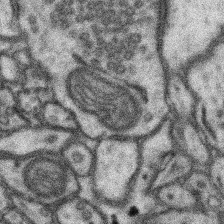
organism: Mouse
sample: Somatosensory cortex neuropil